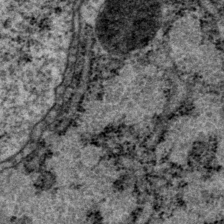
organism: P. pacificus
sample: Pharynx